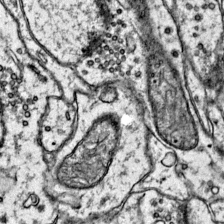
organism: Mouse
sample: Primary visual cortex